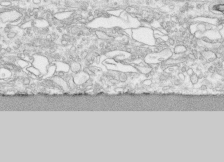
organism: Human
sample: CRL-1474